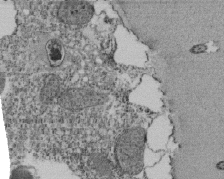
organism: Tetrahymena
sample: Cilia in tetrahymena